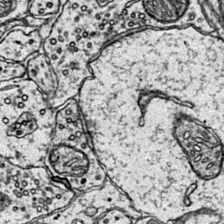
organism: Mouse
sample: Primary visual cortex